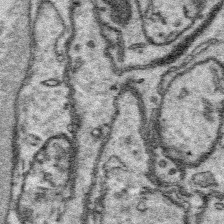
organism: Platynereis dumerilii